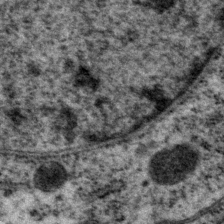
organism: P. pacificus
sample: Pharynx